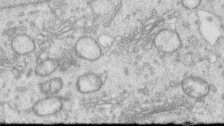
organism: Human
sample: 1205lu cells